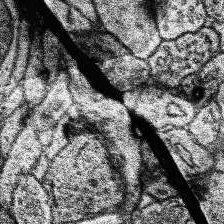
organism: Human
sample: Temporal Lobe